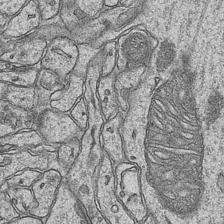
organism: Mouse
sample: CA1 Hippocampus